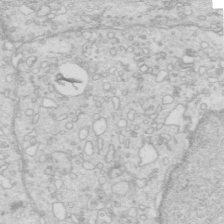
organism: Mouse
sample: Multiciliated cells